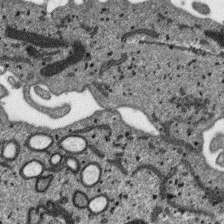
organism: Human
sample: Lung epithelial cells infected with SARS-CoV-2